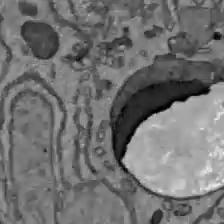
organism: C57BL Mouse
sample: Liver